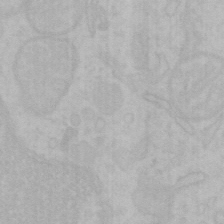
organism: Mouse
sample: Choroid plexus